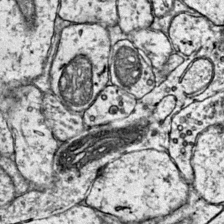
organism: Mouse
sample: Primary visual cortex